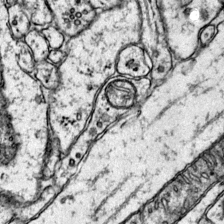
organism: Mouse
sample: Primary visual cortex